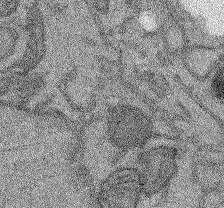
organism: Human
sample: HeLa cells